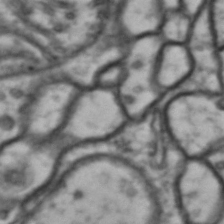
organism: Drosophila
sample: Brain